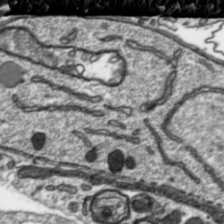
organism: Toxoplasma gondii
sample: Parasites in a vacuole inside a host cell